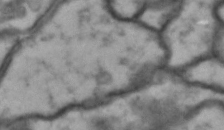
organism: Drosophila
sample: Brain